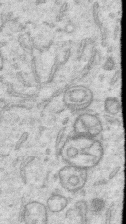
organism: Human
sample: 1205lu cells